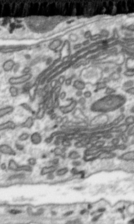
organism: Toxoplasma gondii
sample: Parasites in a vacuole inside a host cell